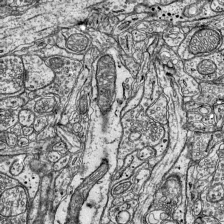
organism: Mouse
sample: Visual Cortex